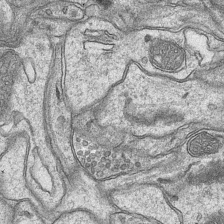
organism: Mouse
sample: CA1 Hippocampus